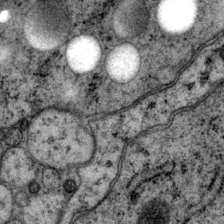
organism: P. pacificus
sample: Pharynx